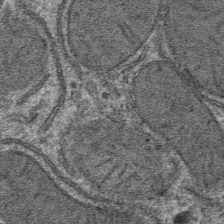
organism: Mouse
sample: Mouse hepatocytes